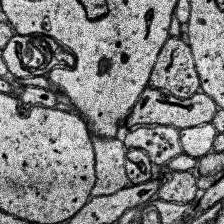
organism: Human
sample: Temporal Lobe